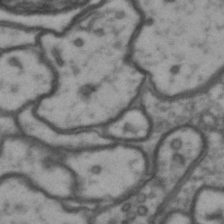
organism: Drosophila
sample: Brain